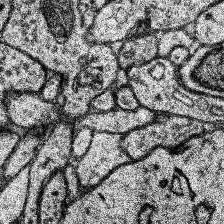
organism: Human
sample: Temporal Lobe